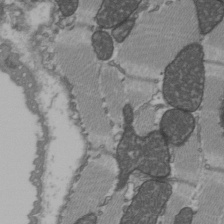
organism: C57BL Mouse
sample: Heart